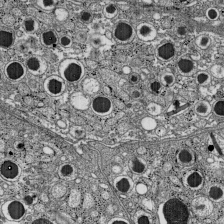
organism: C57BL Mouse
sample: Pancreatic islet